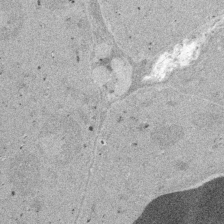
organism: Embia sp.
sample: Silk gland